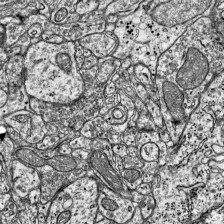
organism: Mouse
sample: Visual Cortex